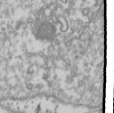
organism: Drosophila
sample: Cell division; meiosis; drosophila spermatocytes